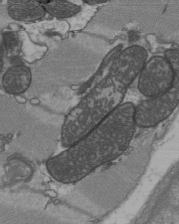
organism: C57BL Mouse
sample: Heart